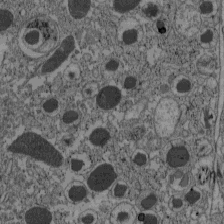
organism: C57BL Mouse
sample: Pancreatic islet